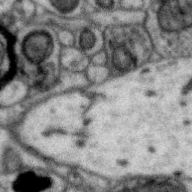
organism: Zebra finch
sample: Brain